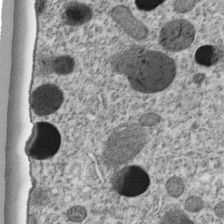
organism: C. elegans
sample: C. elegans embryo early stage